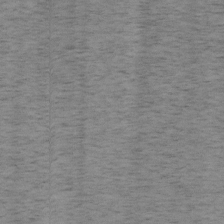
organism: Mouse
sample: OT-I killer T cells with ID8 ovarian cancer cells